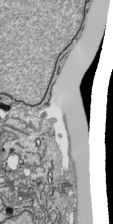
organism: Human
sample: Mitochondria in HCT116 cells